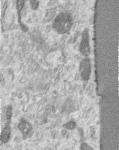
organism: Human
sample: Centriole in RPE cells